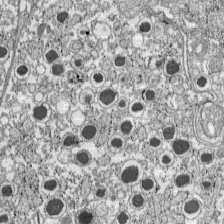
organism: C57BL Mouse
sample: Pancreatic islet